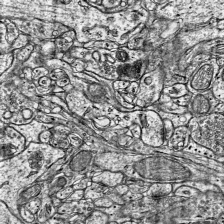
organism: Mouse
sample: Visual Cortex